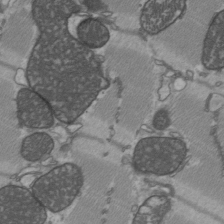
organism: C57BL Mouse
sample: Heart